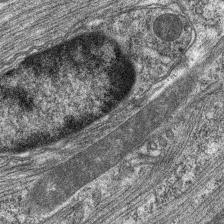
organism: C. elegans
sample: Pharynx